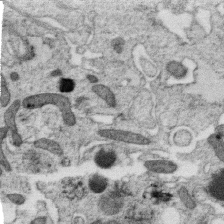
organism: C. elegans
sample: C. elegans oocyte; sperm cells